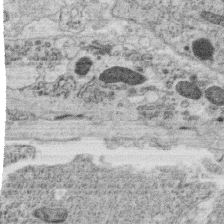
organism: C. elegans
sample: C. elegans oocyte; sperm cells